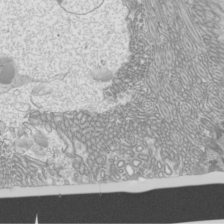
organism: Mouse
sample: Cilia; mouse epididymis